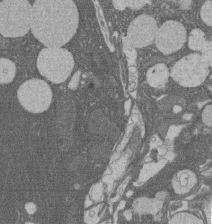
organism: Rat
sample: Salivary granule